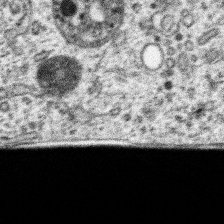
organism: Human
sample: HeLa cells